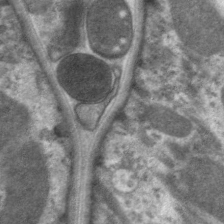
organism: C. elegans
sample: Pharynx